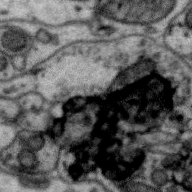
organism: Zebra finch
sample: Brain